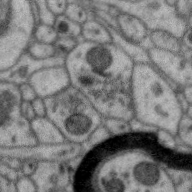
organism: Zebra finch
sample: Brain